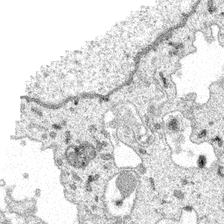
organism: Spongilla lacustris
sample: Multiple